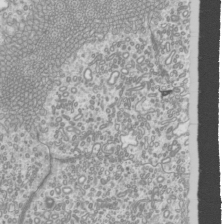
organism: Mouse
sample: Cilia; mouse epididymis